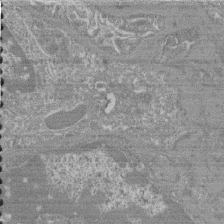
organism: Mouse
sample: Glomerulus